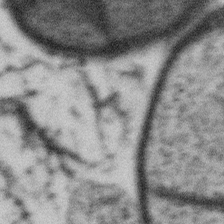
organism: Gemmata obscuriglobus